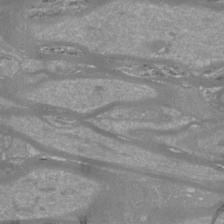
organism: Mouse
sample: Cortical neurons